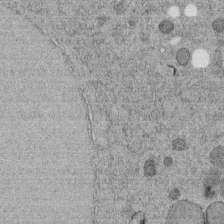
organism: C. elegans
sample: C. elegans embryo early stage